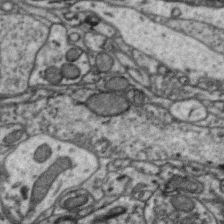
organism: Zebra finch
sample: Brain